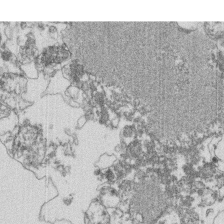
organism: Human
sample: HeLa cell HIV synapse